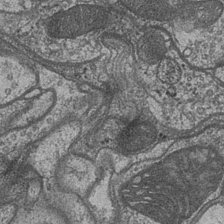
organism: Drosophila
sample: Optic medulla